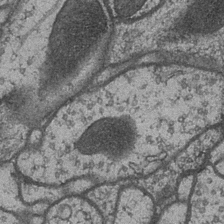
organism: Drosophila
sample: Optic medulla